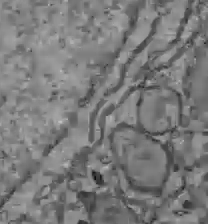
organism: C57BL Mouse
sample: Liver